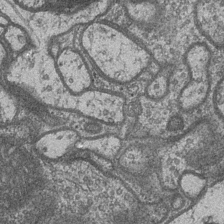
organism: Drosophila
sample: Optic medulla